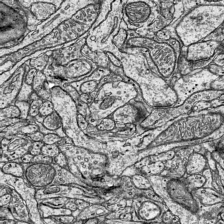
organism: Mouse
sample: Visual Cortex